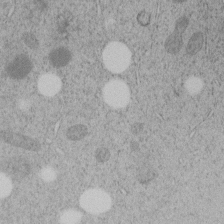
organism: C. elegans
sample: C. elegans embryo early stage